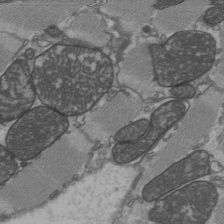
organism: C57BL Mouse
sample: Heart